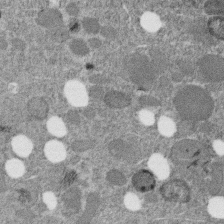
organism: C. elegans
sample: C. elegans embryo early stage